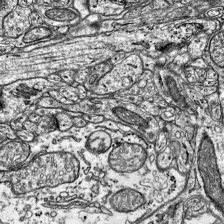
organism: Mouse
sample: Visual Cortex